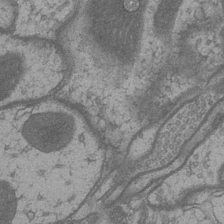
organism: Drosophila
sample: Optic medulla